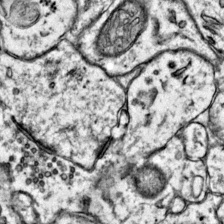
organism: Mouse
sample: Primary visual cortex